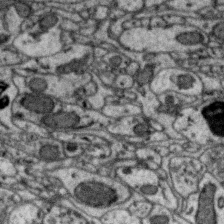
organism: Zebra finch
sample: Brain